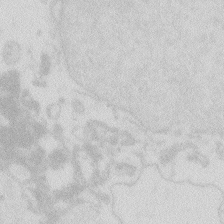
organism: Zebrafish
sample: Macrophage